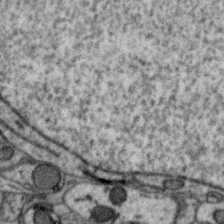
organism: Zebra finch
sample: Brain